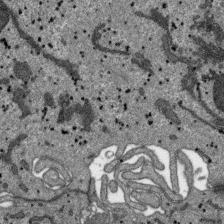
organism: Human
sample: Lung epithelial cells, uninfected (mock) control